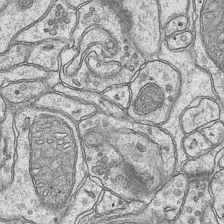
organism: Mouse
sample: CA1 Hippocampus